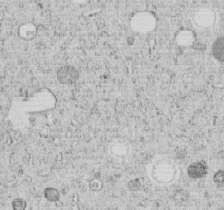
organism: C. elegans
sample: C. elegans embryo early stage